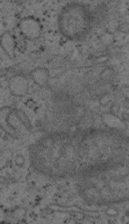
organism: Human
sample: HeLa cells